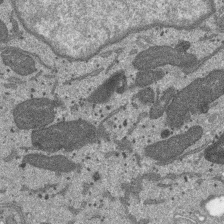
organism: Human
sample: Lung epithelial cells infected with SARS-CoV-2